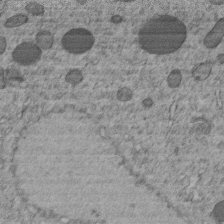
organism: C. elegans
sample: C. elegans embryo early stage